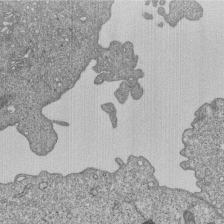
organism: Human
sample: MDA-MB-231 cells